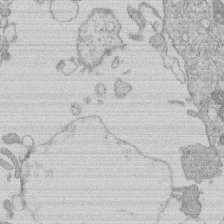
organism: Human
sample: Macrophage cells